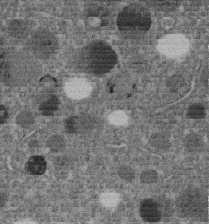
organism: C. elegans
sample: C. elegans embryo early stage